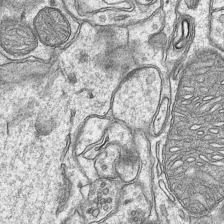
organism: Mouse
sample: CA1 Hippocampus